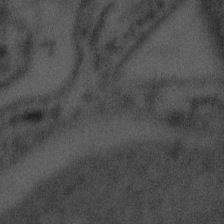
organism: Tuwongella immobilis